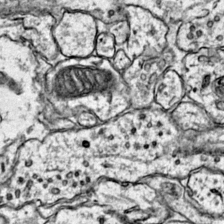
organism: Mouse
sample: Primary visual cortex